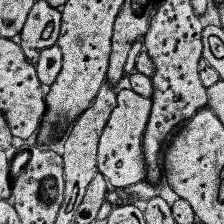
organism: Human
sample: Temporal Lobe